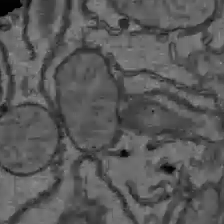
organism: C57BL Mouse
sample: Liver